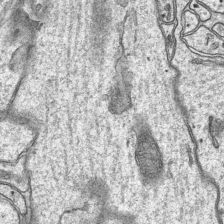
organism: Mouse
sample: CA1 Hippocampus